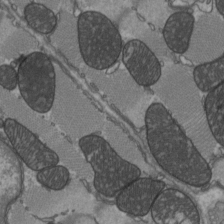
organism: C57BL Mouse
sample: Heart